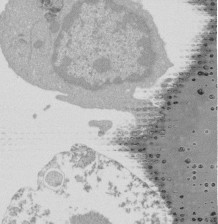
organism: Mouse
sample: Activated Pmel transgenic CD8+ T Cells